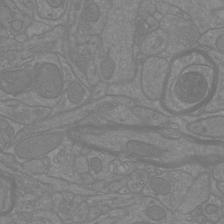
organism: Mouse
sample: Cortical neurons